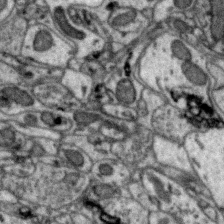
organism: Zebra finch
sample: Brain